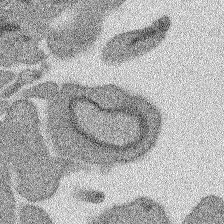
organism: Human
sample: HeLa cells